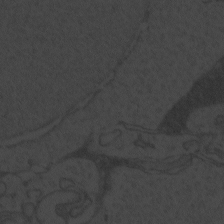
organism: Zebrafish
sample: Macrophage infected with Toxoplasma gondii